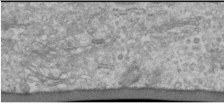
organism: Human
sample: Cilia; basal body in RPE cells